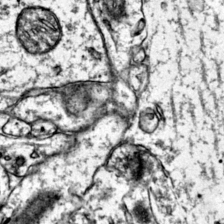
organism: Mouse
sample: Primary visual cortex